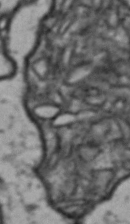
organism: Drosophila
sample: Brain